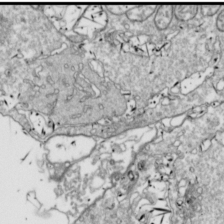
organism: Drosophila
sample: Cell division; meiosis; drosophila spermatocytes